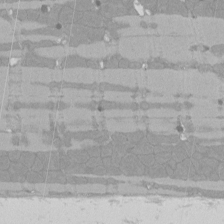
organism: Rat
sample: Left ventricle